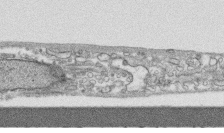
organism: Human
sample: CRL-1474